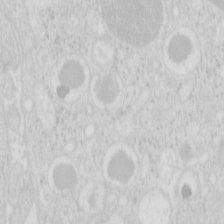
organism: Mouse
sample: Pancreas